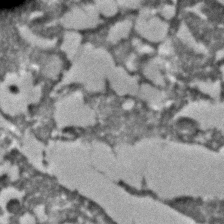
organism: C. elegans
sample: C. elegans embryo